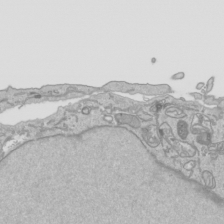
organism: Human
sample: Mitochondria in HCT116 cells